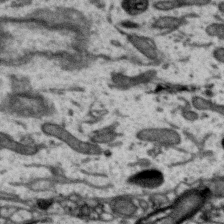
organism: Zebra finch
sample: Brain